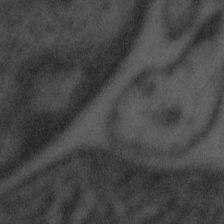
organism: Tuwongella immobilis